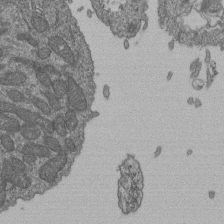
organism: Human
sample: Retinal organoid Rod and Cone cells